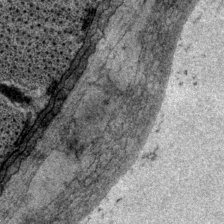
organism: P. pacificus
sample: Pharynx